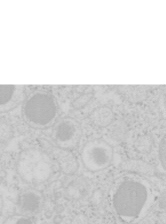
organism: Mouse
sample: Pancreas